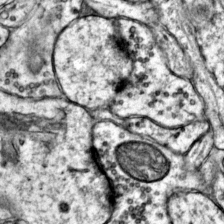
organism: Mouse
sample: Primary visual cortex